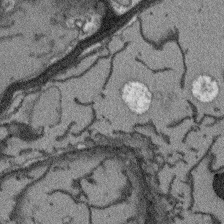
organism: Arabidopsis thaliana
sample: Root tip